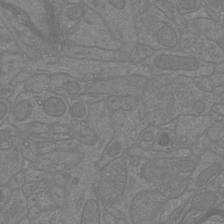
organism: Mouse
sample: Cortical neurons